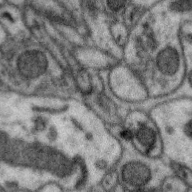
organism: Zebra finch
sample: Brain